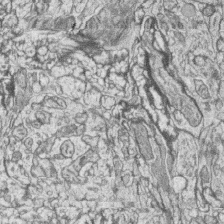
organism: Zebrafish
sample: synaptic ribbons in rod cells and cone cells